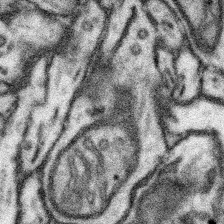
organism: Mouse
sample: Somatosensory cortex neuropil